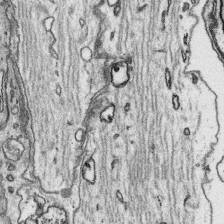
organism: Platynereis dumerilii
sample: Parapodia